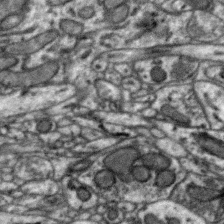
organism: Zebra finch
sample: Brain